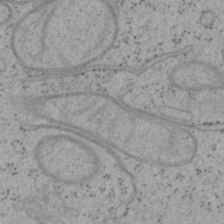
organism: Human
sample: HeLa cells